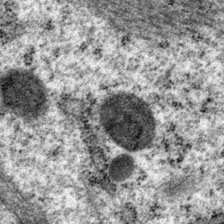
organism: P. pacificus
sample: Pharynx